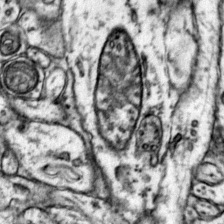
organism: Mouse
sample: Primary visual cortex